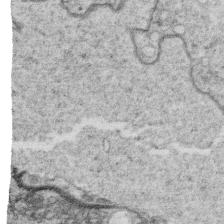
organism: C. elegans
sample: C. elegans oocyte; sperm cells